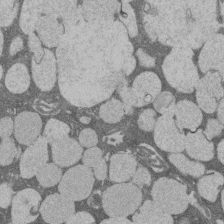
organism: Rat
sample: Salivary granule